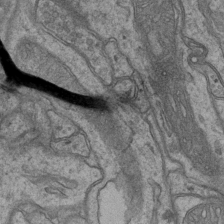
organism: Mouse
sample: CA1 Hippocampus